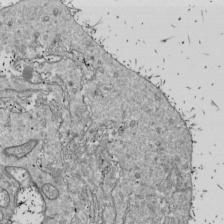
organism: Drosophila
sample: Cell division; meiosis; drosophila spermatocytes